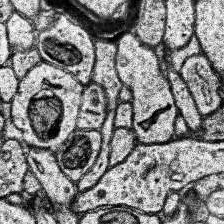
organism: Human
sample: Temporal Lobe